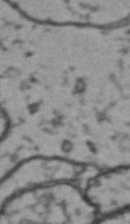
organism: Drosophila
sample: Brain